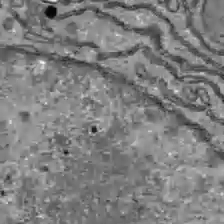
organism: C57BL Mouse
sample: Liver